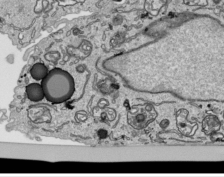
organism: Human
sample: Mitochondria in HCT116 cells